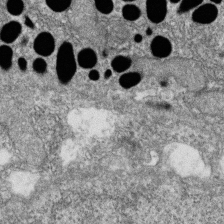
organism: Zebrafish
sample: Cilia; retinal pigment epithelium